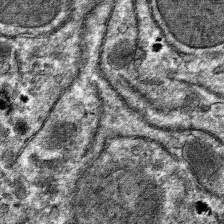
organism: Mouse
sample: Mouse hepatocytes